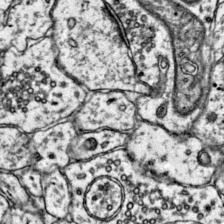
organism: Mouse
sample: Primary visual cortex